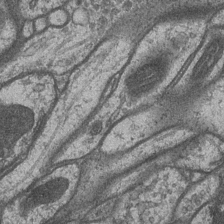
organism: Drosophila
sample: Optic medulla